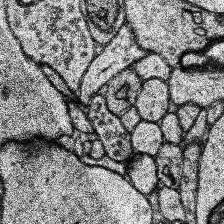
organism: Human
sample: Temporal Lobe